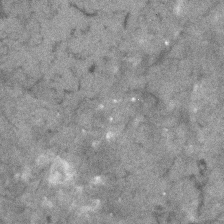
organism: Human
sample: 1205lu cells